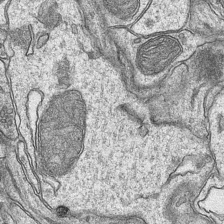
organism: Mouse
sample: CA1 Hippocampus